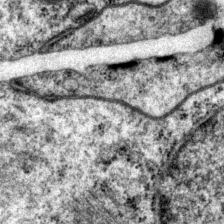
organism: P. pacificus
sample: Pharynx